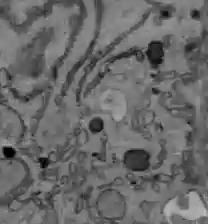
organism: C57BL Mouse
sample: Liver